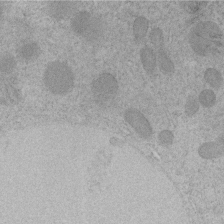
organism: C. elegans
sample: C. elegans embryo early stage